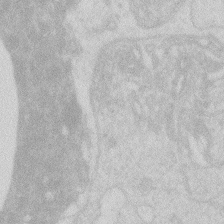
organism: Zebrafish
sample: Macrophage